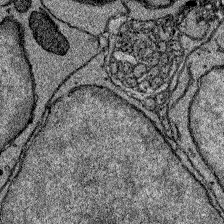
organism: Zebrafish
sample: Larval olfactory bulb